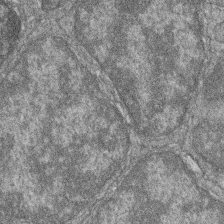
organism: Zebrafish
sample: Cilia; retinal pigment epithelium